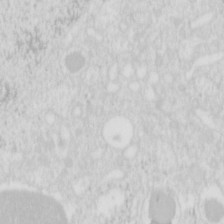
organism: Mouse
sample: Pancreas